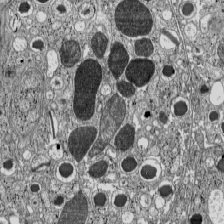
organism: C57BL Mouse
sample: Pancreatic islet